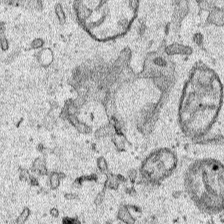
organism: Human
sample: Mitochondria in HCT116 cells